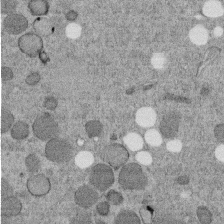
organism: C. elegans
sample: C. elegans embryo early stage